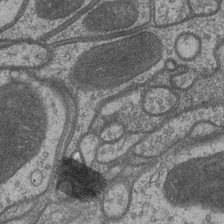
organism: Drosophila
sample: Optic medulla